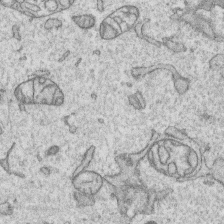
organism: Human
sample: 1205lu cells